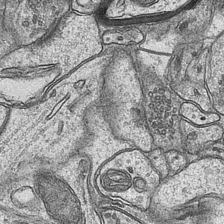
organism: Mouse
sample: CA1 Hippocampus